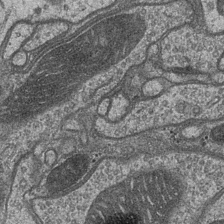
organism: Drosophila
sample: Optic medulla